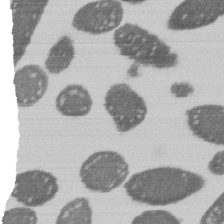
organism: E. coli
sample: Bacterial nucleoid